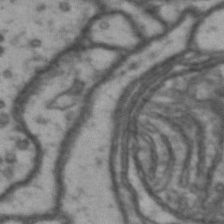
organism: Drosophila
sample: Brain